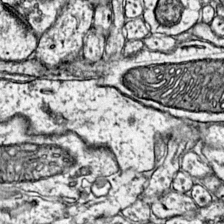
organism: Mouse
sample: Primary visual cortex